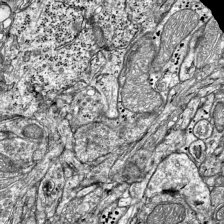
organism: Mouse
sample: Visual Cortex